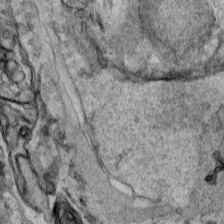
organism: Human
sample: Mitochondria in HCT116 cells